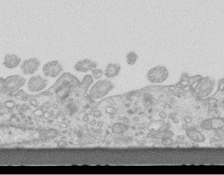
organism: Mouse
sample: Centriole in ependymal cells